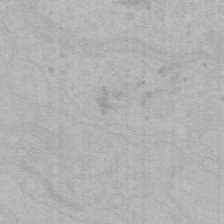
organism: Mouse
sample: Choroid plexus